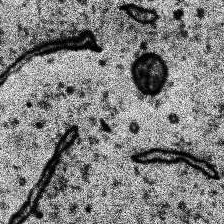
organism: Human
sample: Temporal Lobe